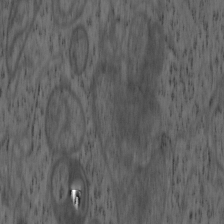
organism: Human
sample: HeLa cells